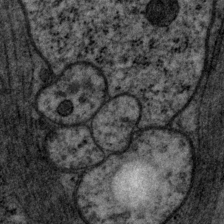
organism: P. pacificus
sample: Pharynx